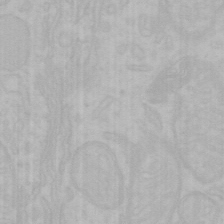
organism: Mouse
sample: Choroid plexus